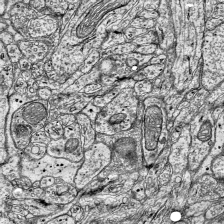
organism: Mouse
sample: Visual Cortex